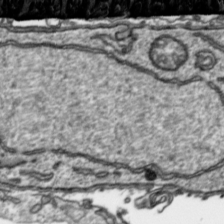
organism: Toxoplasma gondii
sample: Parasites in a vacuole inside a host cell